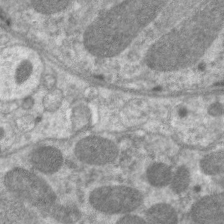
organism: C. elegans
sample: Pharynx